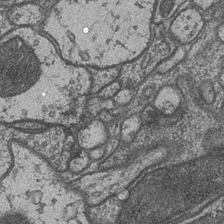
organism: Drosophila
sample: Optic medulla